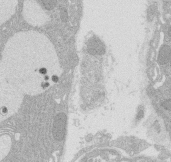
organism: Rat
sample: Salivary granule